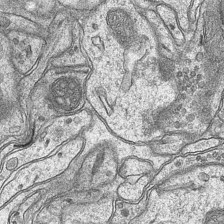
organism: Mouse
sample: CA1 Hippocampus